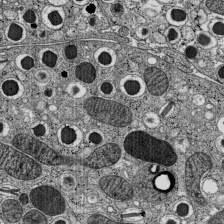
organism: C57BL Mouse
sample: Pancreatic islet